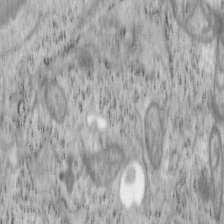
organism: Human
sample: HeLa cells